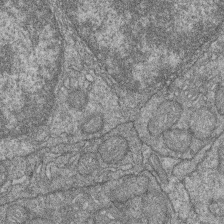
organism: Zebrafish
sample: Cilia; retinal pigment epithelium